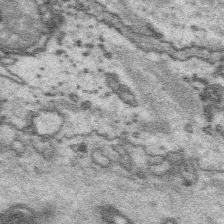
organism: Platynereis dumerilii